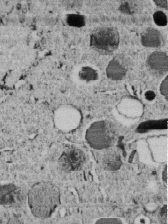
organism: C. elegans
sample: C. elegans embryo early stage